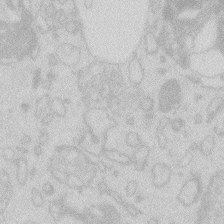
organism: Zebrafish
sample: Macrophage